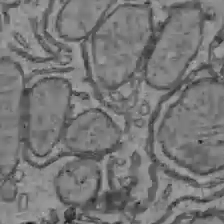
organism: C57BL Mouse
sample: Liver